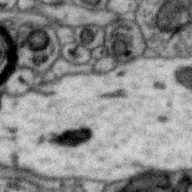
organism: Zebra finch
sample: Brain